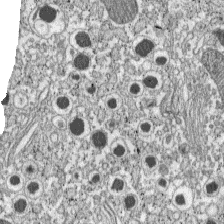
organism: C57BL Mouse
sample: Pancreatic islet